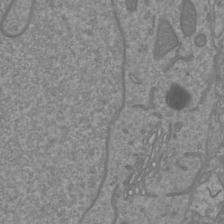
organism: Mouse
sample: Cortical neurons